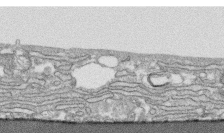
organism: Human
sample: CRL-1474